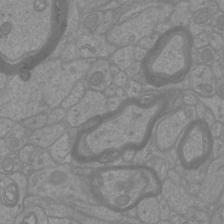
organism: Mouse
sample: Cortical neurons